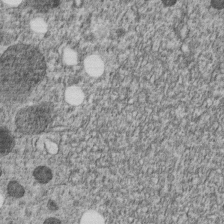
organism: C. elegans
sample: C. elegans embryo early stage